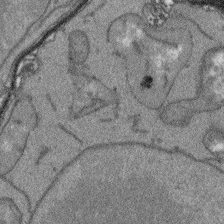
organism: Arabidopsis thaliana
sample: Root tip